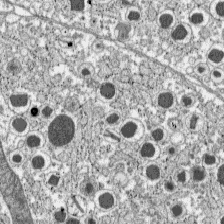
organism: C57BL Mouse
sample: Pancreatic islet